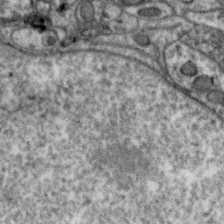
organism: Zebra finch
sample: Brain